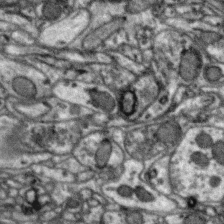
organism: Zebra finch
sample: Brain